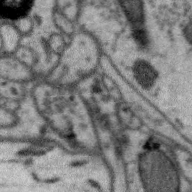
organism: Zebra finch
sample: Brain